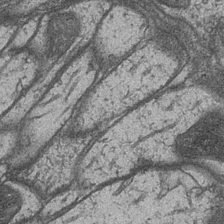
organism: Drosophila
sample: Optic medulla